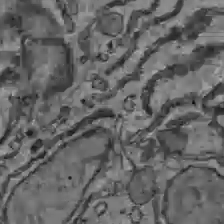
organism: C57BL Mouse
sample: Liver